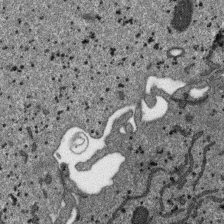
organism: Human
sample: Lung epithelial cells infected with SARS-CoV-2